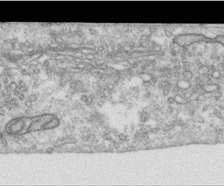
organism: Human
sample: Centriole in RPE cells